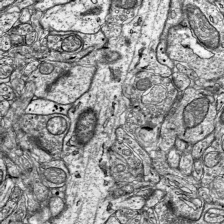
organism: Mouse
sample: Visual Cortex